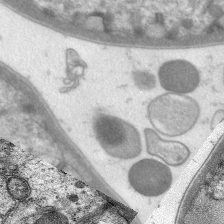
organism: C. elegans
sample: Pharynx